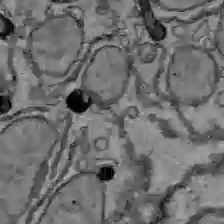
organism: C57BL Mouse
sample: Liver